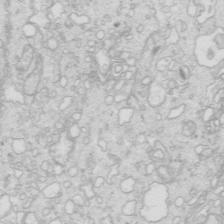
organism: Mouse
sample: Multiciliated cells